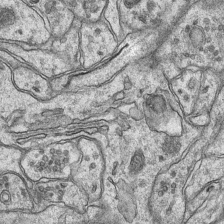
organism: Mouse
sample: CA1 Hippocampus